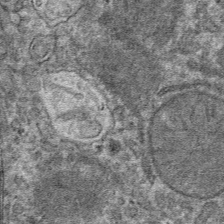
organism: Mouse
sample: Mouse hepatocytes